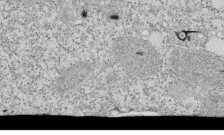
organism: Tetrahymena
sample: Cilia in tetrahymena